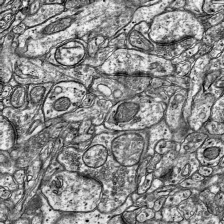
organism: Mouse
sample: Visual Cortex